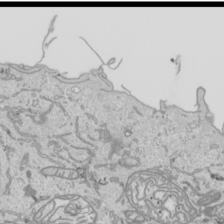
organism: Human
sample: Mitochondria in HCT116 cells